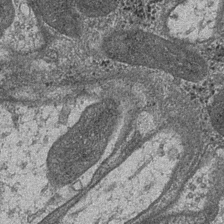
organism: Drosophila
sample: Optic medulla